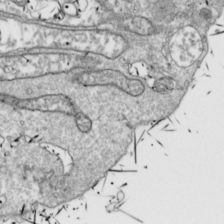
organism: Drosophila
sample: Cell division; meiosis; drosophila spermatocytes